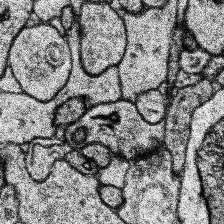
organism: Human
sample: Temporal Lobe